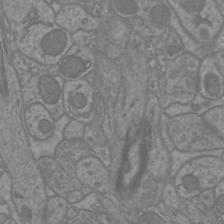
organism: Mouse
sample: Cortical neurons